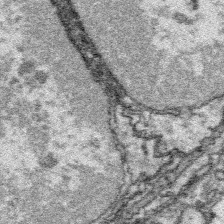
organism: Platynereis dumerilii